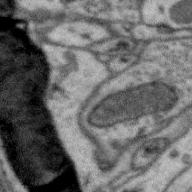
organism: Zebra finch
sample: Brain